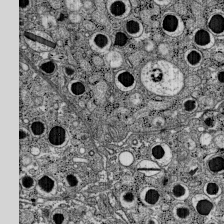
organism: C57BL Mouse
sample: Pancreatic islet